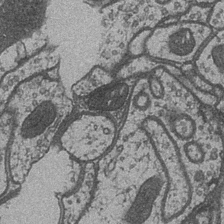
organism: Drosophila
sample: Optic medulla